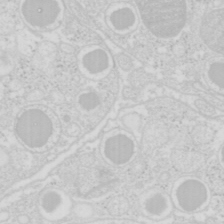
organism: Mouse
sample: Pancreas